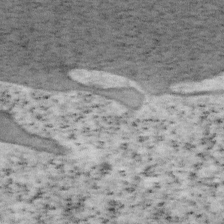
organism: Mouse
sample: OT-I killer T cells with ID8 ovarian cancer cells